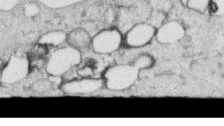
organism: Human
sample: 1205lu cells